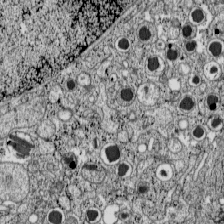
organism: C57BL Mouse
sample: Pancreatic islet